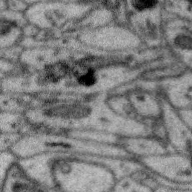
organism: Zebra finch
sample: Brain